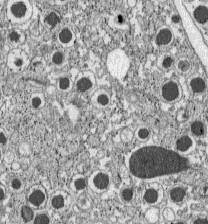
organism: C57BL Mouse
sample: Pancreatic islet